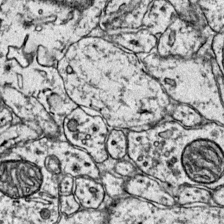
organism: Mouse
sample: Primary visual cortex